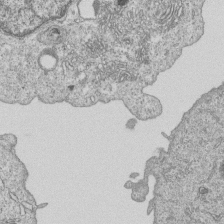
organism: Human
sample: MDA-MB-231 cells